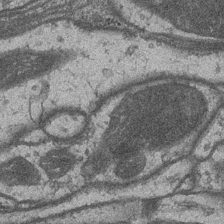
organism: Drosophila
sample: Optic medulla